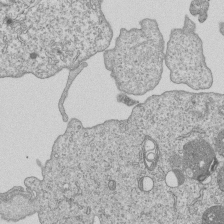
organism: Human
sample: MDA-MB-231 cells